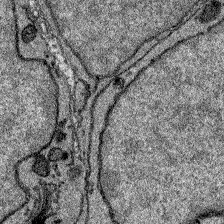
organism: Zebrafish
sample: Larval olfactory bulb